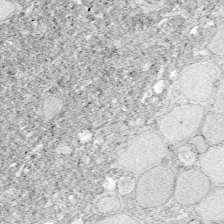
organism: Zebrafish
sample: Whole-Brain